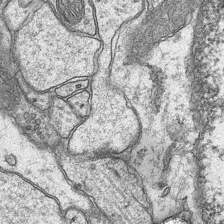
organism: Mouse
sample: CA1 Hippocampus